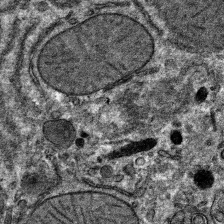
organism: Mouse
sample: Mouse hepatocytes